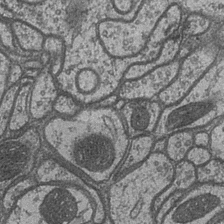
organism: Drosophila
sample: Optic medulla